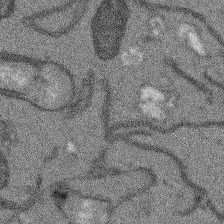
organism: Arabidopsis thaliana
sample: Root tip